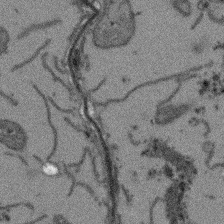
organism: Arabidopsis thaliana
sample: Root tip